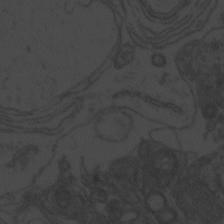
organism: Zebrafish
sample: Macrophage infected with Toxoplasma gondii